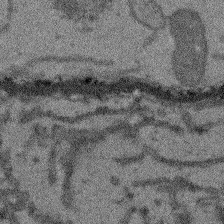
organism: Arabidopsis thaliana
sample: Root tip